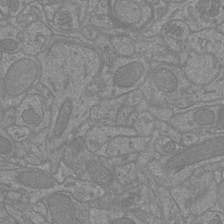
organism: Mouse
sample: Cortical neurons